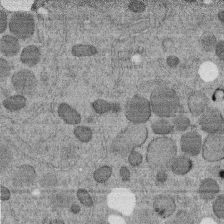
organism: C. elegans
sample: C. elegans embryo early stage